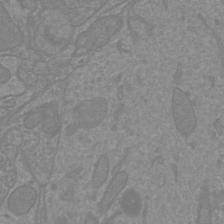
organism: Mouse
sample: Cortical neurons